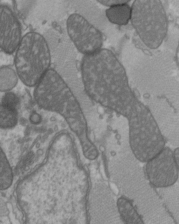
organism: C57BL Mouse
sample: Heart